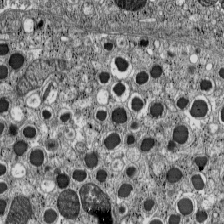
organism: C57BL Mouse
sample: Pancreatic islet